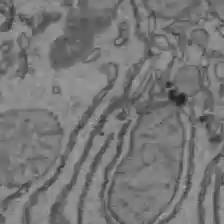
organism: C57BL Mouse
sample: Liver